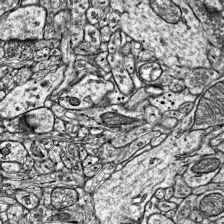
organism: Mouse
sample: Visual Cortex